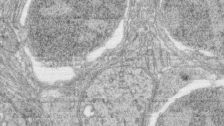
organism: Zebrafish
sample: synaptic ribbons in rod cells and cone cells